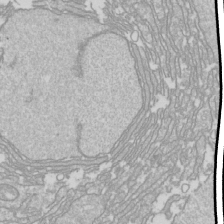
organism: Drosophila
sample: Cell division; meiosis; drosophila spermatocytes